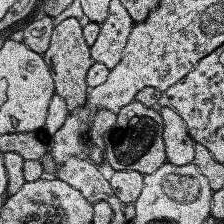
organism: Human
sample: Temporal Lobe